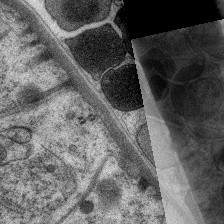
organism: C. elegans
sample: Pharynx